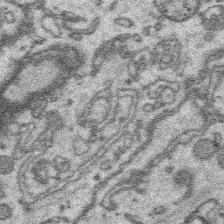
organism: Platynereis dumerilii